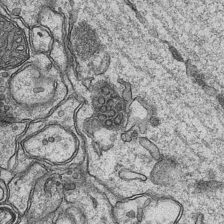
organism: Mouse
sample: CA1 Hippocampus